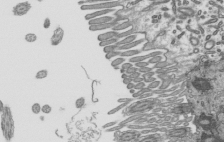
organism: Mouse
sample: Mouse epididymis efferent ductule cilia